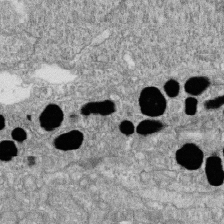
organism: Zebrafish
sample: Cilia; retinal pigment epithelium